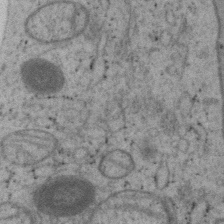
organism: Human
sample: HeLa cells